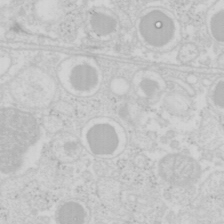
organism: Mouse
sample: Pancreas